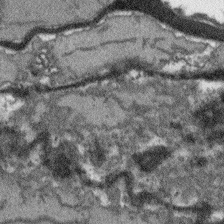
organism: Arabidopsis thaliana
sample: Root tip